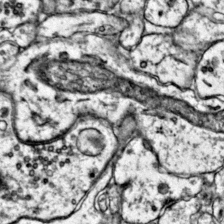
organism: Mouse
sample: Primary visual cortex